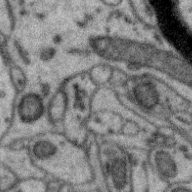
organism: Zebra finch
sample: Brain